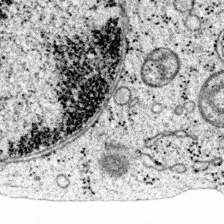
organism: Human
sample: HeLa cells